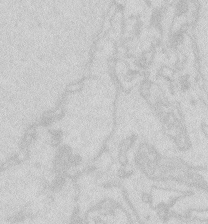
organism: Zebrafish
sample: Macrophage